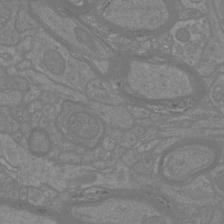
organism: Mouse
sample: Cortical neurons